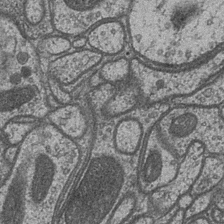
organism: Drosophila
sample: Optic medulla